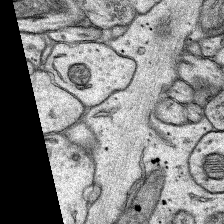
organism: Rat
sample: Hippocampus